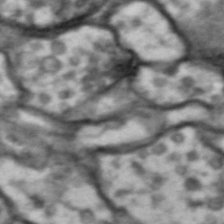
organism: Drosophila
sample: Brain